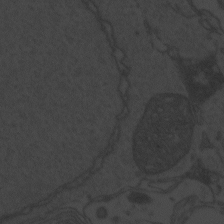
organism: Zebrafish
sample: Macrophage infected with Toxoplasma gondii